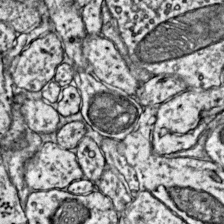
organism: Mouse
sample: Primary visual cortex